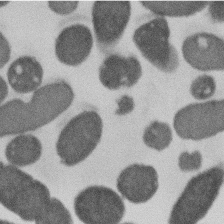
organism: E. coli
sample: Bacterial nucleoid